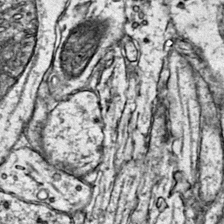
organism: Mouse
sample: Primary visual cortex